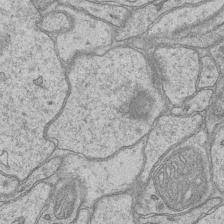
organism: Mouse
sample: CA1 Hippocampus